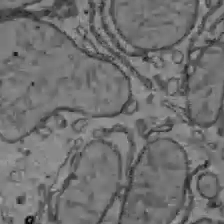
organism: C57BL Mouse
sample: Liver